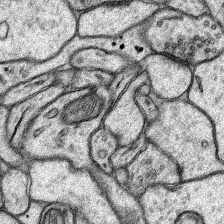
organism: Rat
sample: Hippocampus